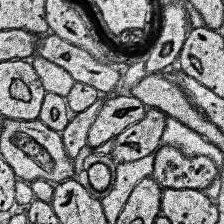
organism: Human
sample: Temporal Lobe